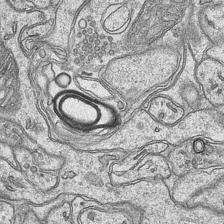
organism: Mouse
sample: CA1 Hippocampus